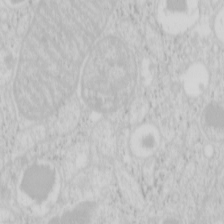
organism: Mouse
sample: Pancreas